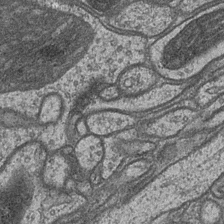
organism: Drosophila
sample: Optic medulla